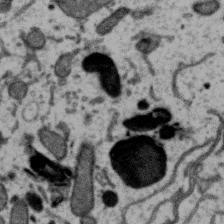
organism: Zebra finch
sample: Brain